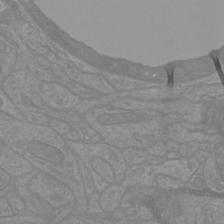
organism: Mouse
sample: Cortical neurons